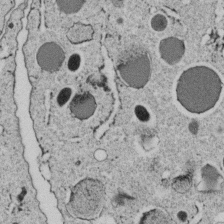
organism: C. elegans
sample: C. elegans embryo early stage